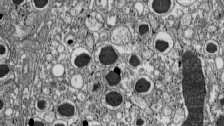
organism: C57BL Mouse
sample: Pancreatic islet